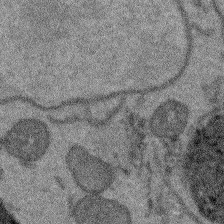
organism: Arabidopsis thaliana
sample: Root tip